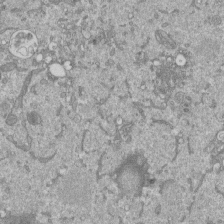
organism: Mouse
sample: ED-1 cell nuclei; centrioles